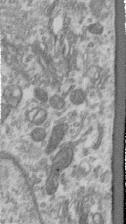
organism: Human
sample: Centriole in RPE cells